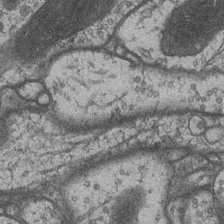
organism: Drosophila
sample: Optic medulla